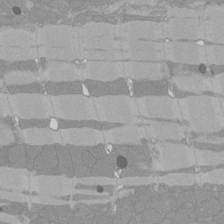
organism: Rat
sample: Left ventricle